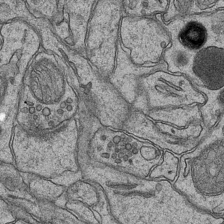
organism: Mouse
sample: CA1 Hippocampus